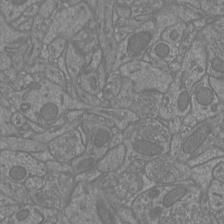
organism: Mouse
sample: Cortical neurons